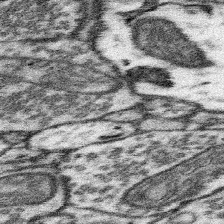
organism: Mouse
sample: Somatosensory cortex neuropil